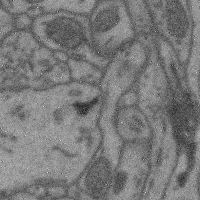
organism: Mouse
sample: Cerebral cortex